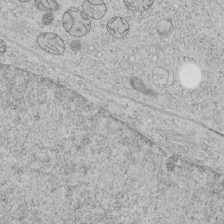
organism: Human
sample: Mitochondria in HCT116 cells